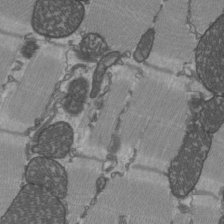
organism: C57BL Mouse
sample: Heart